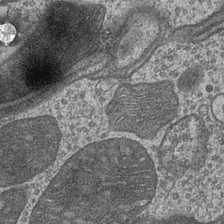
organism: Drosophila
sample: Optic medulla